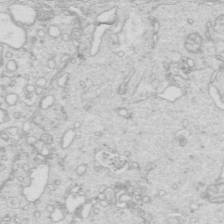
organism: Mouse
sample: Multiciliated cells